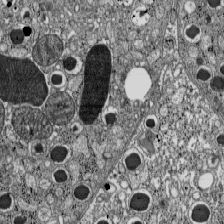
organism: C57BL Mouse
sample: Pancreatic islet